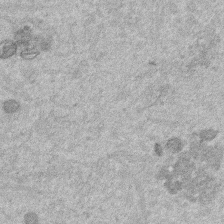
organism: Mouse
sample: Dividing mouse embryo 1 cell stage